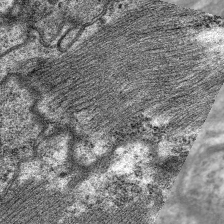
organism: C. elegans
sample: Pharynx